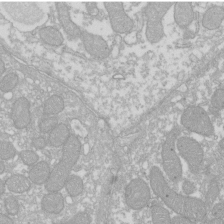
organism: Xenopus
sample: Cilia; centrioles in frog embryo cells